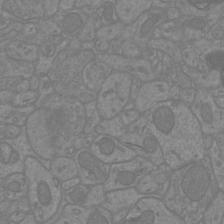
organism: Mouse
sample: Cortical neurons